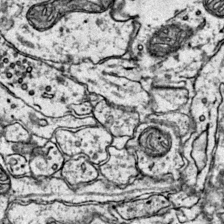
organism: Mouse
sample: Primary visual cortex